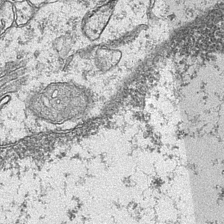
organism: Mouse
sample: CA1 Hippocampus